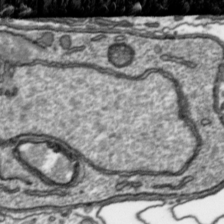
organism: Toxoplasma gondii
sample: Parasites in a vacuole inside a host cell